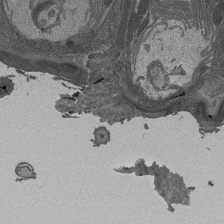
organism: Drosophila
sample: Antenna